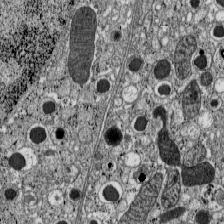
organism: C57BL Mouse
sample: Pancreatic islet